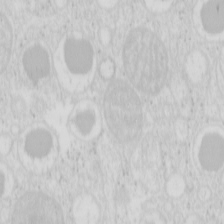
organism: Mouse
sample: Pancreas